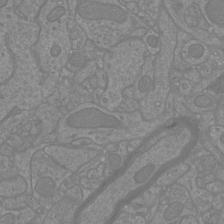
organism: Mouse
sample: Cortical neurons